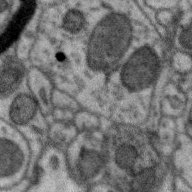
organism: Zebra finch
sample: Brain